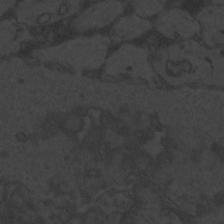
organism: Zebrafish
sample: Macrophage infected with Toxoplasma gondii